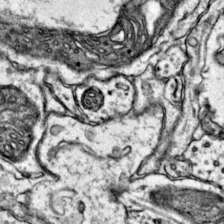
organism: Mouse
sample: Primary visual cortex